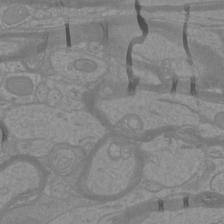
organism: Mouse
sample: Cortical neurons